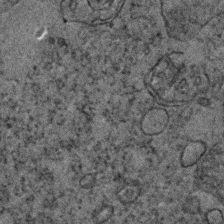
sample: Trachea